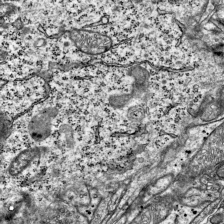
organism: Mouse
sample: Visual Cortex